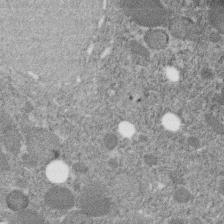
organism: C. elegans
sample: C. elegans embryo early stage